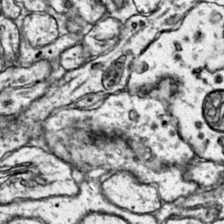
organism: Mouse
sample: Primary visual cortex